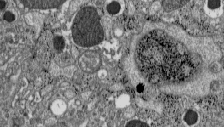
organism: C57BL Mouse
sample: Pancreatic islet